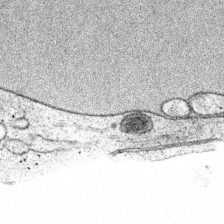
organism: Human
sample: HeLa cells